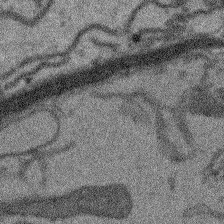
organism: Arabidopsis thaliana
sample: Root tip